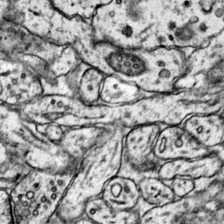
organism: Mouse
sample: Primary visual cortex